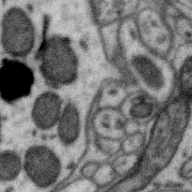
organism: Zebra finch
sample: Brain